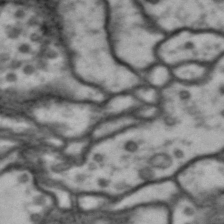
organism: Drosophila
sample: Brain